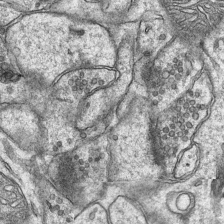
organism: Mouse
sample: CA1 Hippocampus